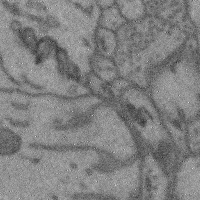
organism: Mouse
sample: Cerebral cortex